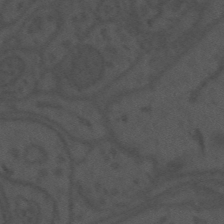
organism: Mouse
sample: Suprachiasmatic nucleus